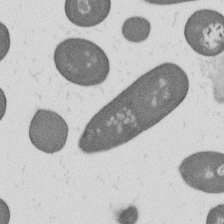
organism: B. subtilis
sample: Bacterial spore